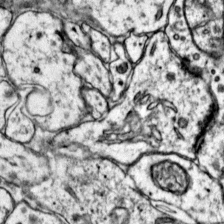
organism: Mouse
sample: Primary visual cortex